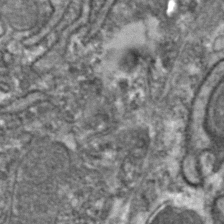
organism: Zebrafish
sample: Zebrafish embryo